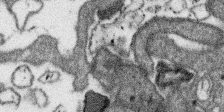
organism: Human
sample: Lung epithelial cells infected with SARS-CoV-2